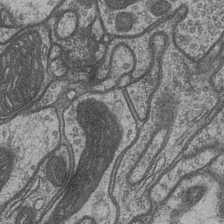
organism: Drosophila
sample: Optic medulla